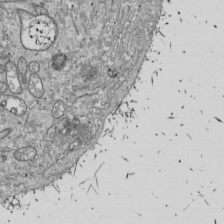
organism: Drosophila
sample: Cell division; meiosis; drosophila spermatocytes